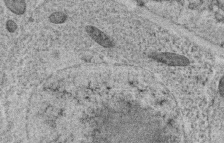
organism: C. elegans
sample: C. elegans oocyte; sperm cells